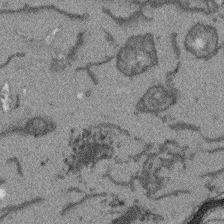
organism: Arabidopsis thaliana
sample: Root tip